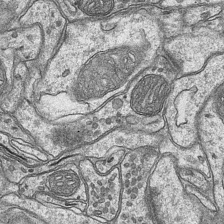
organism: Mouse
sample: CA1 Hippocampus